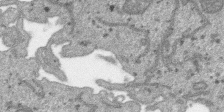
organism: Human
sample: Lung epithelial cells infected with SARS-CoV-2